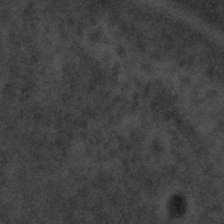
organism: Tuwongella immobilis